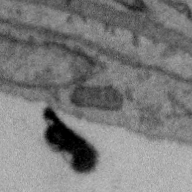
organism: Zebra finch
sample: Brain